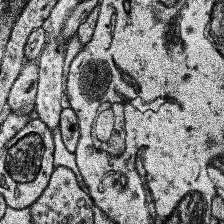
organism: Human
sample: Temporal Lobe